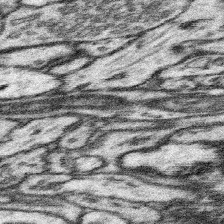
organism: Mouse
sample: Somatosensory cortex neuropil